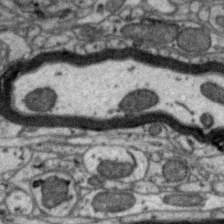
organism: Zebra finch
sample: Brain